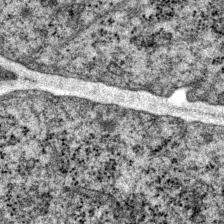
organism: P. pacificus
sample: Pharynx